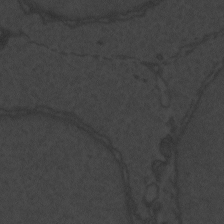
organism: Zebrafish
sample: Macrophage infected with Toxoplasma gondii